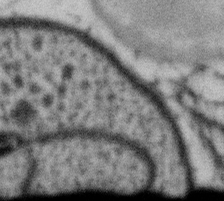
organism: Gemmata obscuriglobus